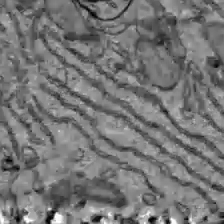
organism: C57BL Mouse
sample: Liver